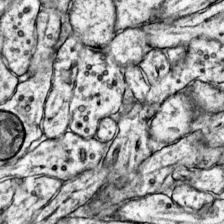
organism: Mouse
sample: Primary visual cortex